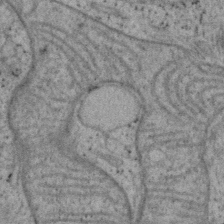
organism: Human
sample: HeLa cells